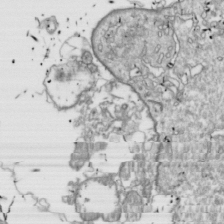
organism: Drosophila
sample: Cell division; meiosis; drosophila spermatocytes